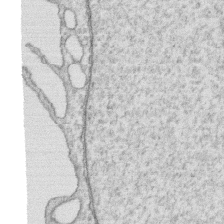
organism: Human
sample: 1205lu cells